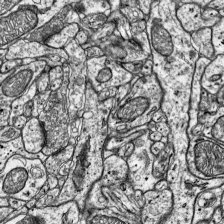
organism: Mouse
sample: Visual Cortex